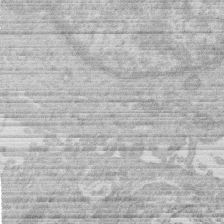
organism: Human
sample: Macrophage cells